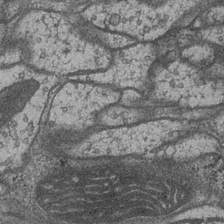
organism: Drosophila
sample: Optic medulla